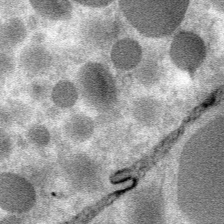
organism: Mouse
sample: Mouse Salivary gland